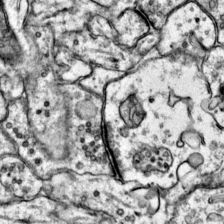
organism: Mouse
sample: Primary visual cortex